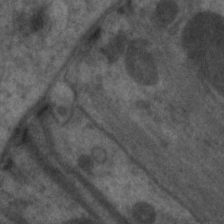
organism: C. elegans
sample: Pharynx